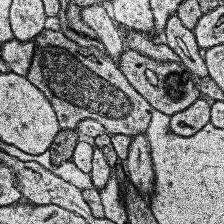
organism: Human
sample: Temporal Lobe